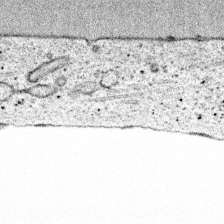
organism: Human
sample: HeLa cells